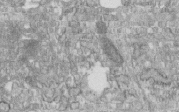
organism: Human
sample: Centriole in fibroblast cells